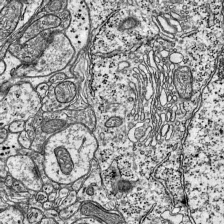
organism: Mouse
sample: Visual Cortex